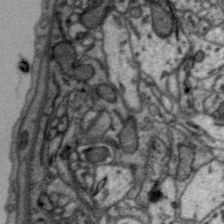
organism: Zebra finch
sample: Brain